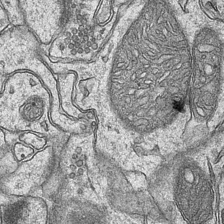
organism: Mouse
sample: CA1 Hippocampus